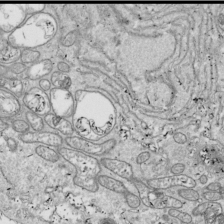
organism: Drosophila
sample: Cell division; meiosis; drosophila spermatocytes